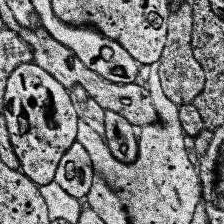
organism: Human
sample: Temporal Lobe